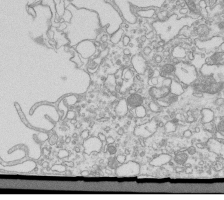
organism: Mouse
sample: Macrophages